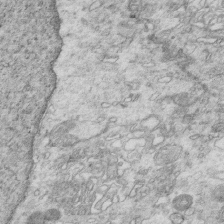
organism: Mouse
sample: Multiciliated cells